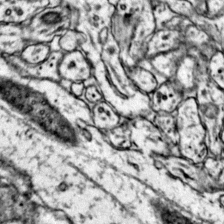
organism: Mouse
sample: Primary visual cortex